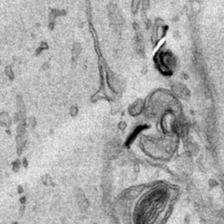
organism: Human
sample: Mitochondria in HCT116 cells